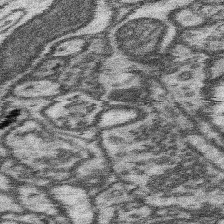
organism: Mouse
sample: Somatosensory cortex neuropil